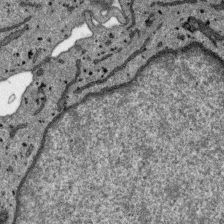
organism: Human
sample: Lung epithelial cells, uninfected (mock) control